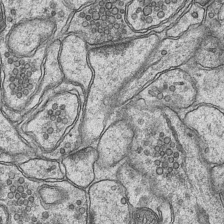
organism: Mouse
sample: CA1 Hippocampus